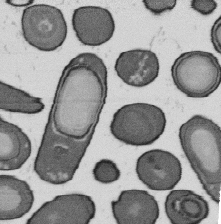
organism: B. subtilis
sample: Bacterial spore